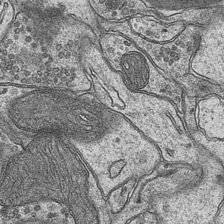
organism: Mouse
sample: CA1 Hippocampus